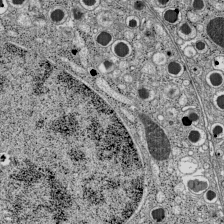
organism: C57BL Mouse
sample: Pancreatic islet